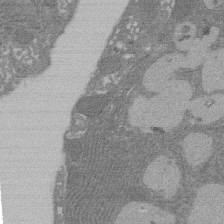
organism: Rat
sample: Salivary granule